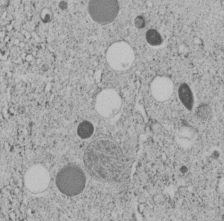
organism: C. elegans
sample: C. elegans embryo early stage